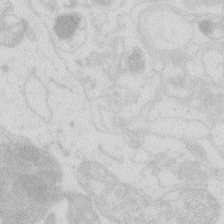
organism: Zebrafish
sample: Macrophage